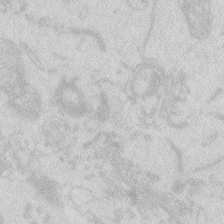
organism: Zebrafish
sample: Macrophage